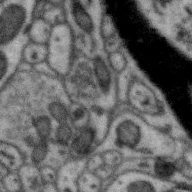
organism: Zebra finch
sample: Brain